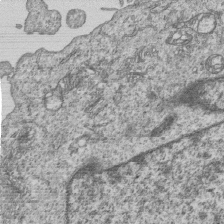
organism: Human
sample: MDA-MB-231 cells